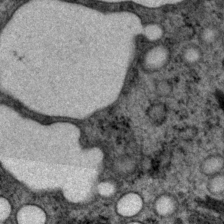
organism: P. pacificus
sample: Pharynx